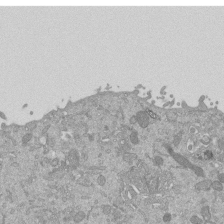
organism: Mouse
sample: ED-1 cell nuclei; centrioles